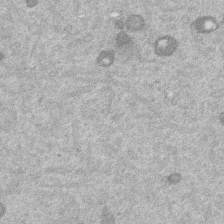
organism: Mouse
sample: Dividing mouse embryo 1 cell stage